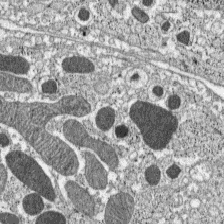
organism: C57BL Mouse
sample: Pancreatic islet